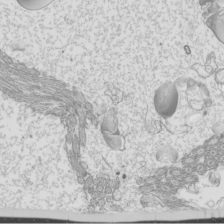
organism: Mouse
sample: Cilia; mouse epididymis